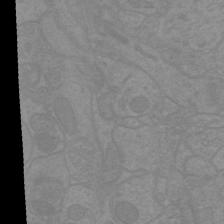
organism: Mouse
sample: Cortical neurons